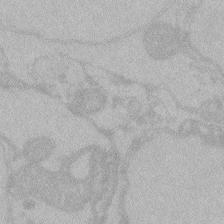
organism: Zebrafish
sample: Macrophage infected with Toxoplasma gondii